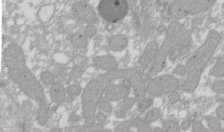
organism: Xenopus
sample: Cilia; centrioles in frog embryo cells